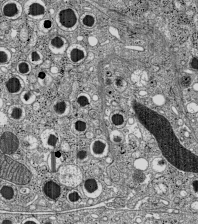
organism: C57BL Mouse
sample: Pancreatic islet